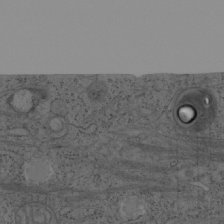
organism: Human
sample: HeLa cells